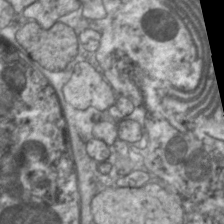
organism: C. elegans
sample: Pharynx